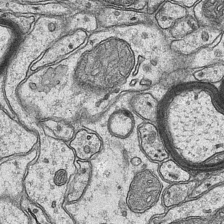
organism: Mouse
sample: CA1 Hippocampus